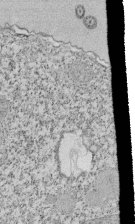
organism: Tetrahymena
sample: Cilia in tetrahymena